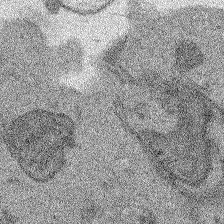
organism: Human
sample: HeLa cells